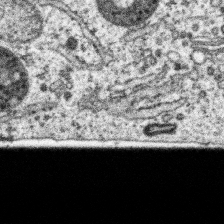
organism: Human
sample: HeLa cells